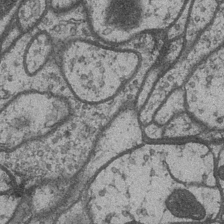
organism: Drosophila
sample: Optic medulla